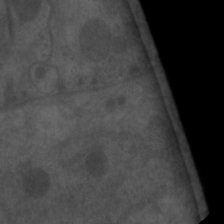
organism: C. elegans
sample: Pharynx